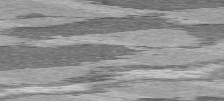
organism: C57BL Mouse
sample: Heart